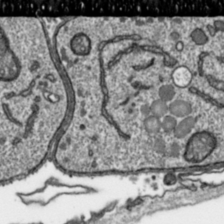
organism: Toxoplasma gondii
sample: Parasites in a vacuole inside a host cell